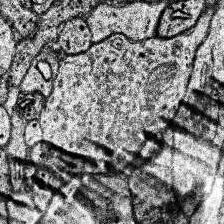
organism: Human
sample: Temporal Lobe